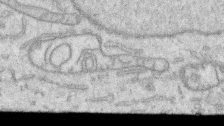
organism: Human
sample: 1205lu cells